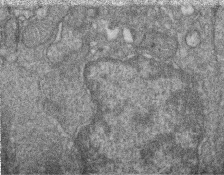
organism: Zebrafish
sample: Cilia; retinal pigment epithelium